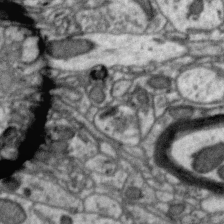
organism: Zebra finch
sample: Brain